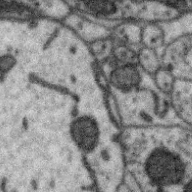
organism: Zebra finch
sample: Brain